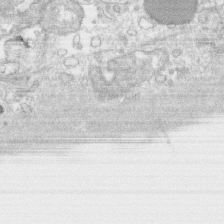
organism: Human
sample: CRL-1474